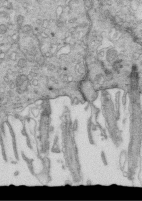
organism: Mouse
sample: Multiciliated cells